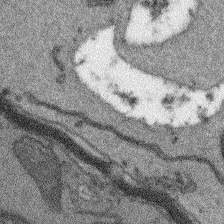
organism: Arabidopsis thaliana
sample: Root tip